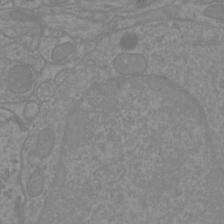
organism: Mouse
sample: Cortical neurons